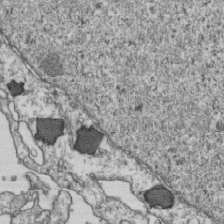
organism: Human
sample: Activated Jurkat CD4+ T cells